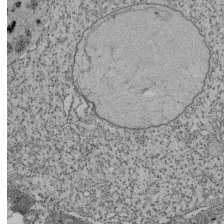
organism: Tetrahymena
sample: Cilia in tetrahymena